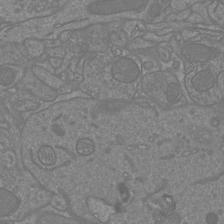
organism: Mouse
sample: Cortical neurons